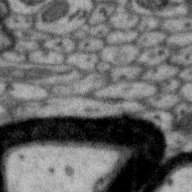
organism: Zebra finch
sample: Brain